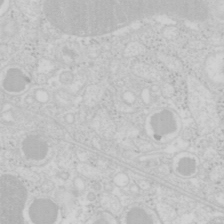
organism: Mouse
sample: Pancreas